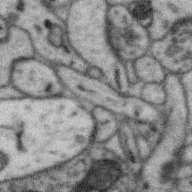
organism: Zebra finch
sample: Brain